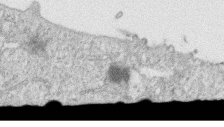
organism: Human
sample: HeLa cell HIV synapse